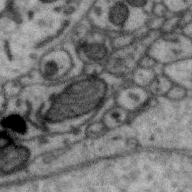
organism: Zebra finch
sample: Brain